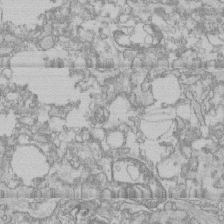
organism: Human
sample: CRL-1474